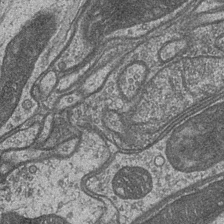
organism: Drosophila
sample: Optic medulla